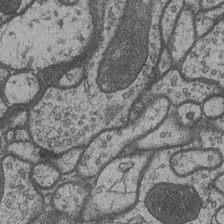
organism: Drosophila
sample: Optic medulla